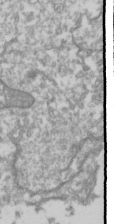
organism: Drosophila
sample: Cell division; meiosis; drosophila spermatocytes